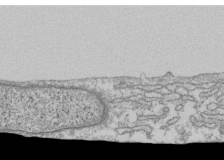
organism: Human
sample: Fibroblast cells